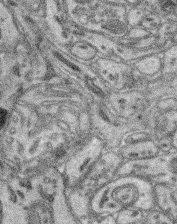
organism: Mouse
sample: Retina